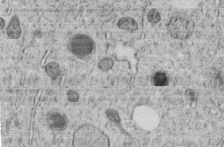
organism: C. elegans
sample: C. elegans embryo early stage